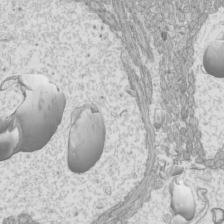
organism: Mouse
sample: Cilia; mouse epididymis